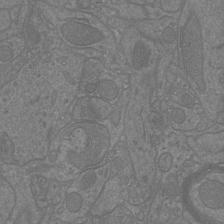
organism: Mouse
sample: Cortical neurons